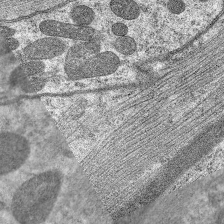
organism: C. elegans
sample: Pharynx